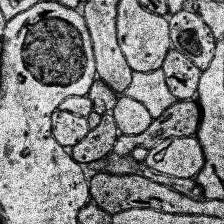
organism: Human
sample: Temporal Lobe